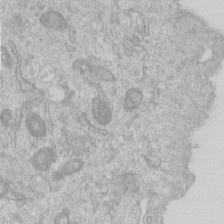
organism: Human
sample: Centriole in RPE cells